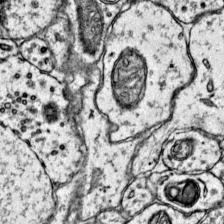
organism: Mouse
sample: Primary visual cortex